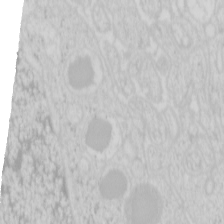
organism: Mouse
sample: Pancreas